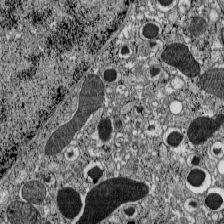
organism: C57BL Mouse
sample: Pancreatic islet